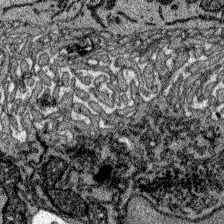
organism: Zebrafish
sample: Larval olfactory bulb